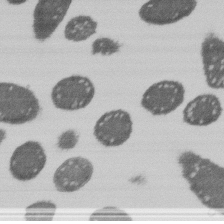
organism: E. coli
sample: Bacterial nucleoid